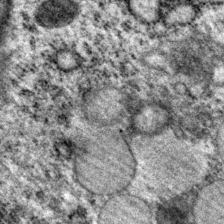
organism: P. pacificus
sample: Pharynx